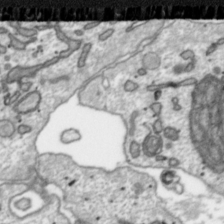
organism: Toxoplasma gondii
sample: Parasites in a vacuole inside a host cell